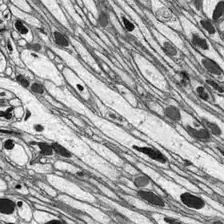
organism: Drosophila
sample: Optic lobe